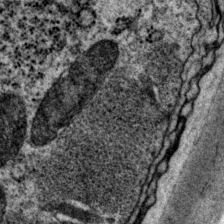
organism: P. pacificus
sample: Pharynx